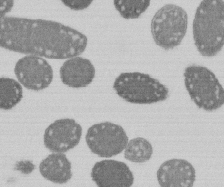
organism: E. coli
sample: Bacterial nucleoid